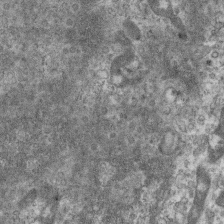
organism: Mouse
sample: Centriole in ependymal cells